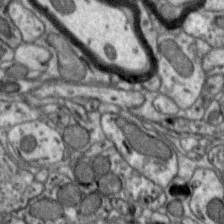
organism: Zebra finch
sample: Brain